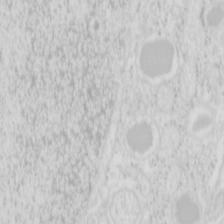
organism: Mouse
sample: Pancreas